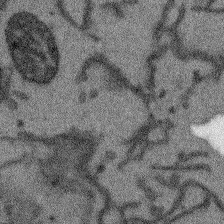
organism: Arabidopsis thaliana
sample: Root tip